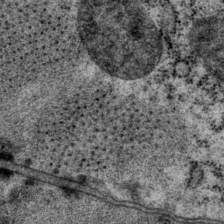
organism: P. pacificus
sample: Pharynx